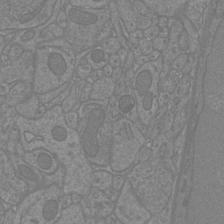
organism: Mouse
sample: Cortical neurons